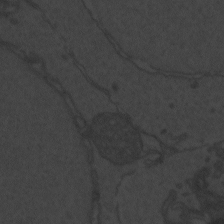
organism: Zebrafish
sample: Macrophage infected with Toxoplasma gondii